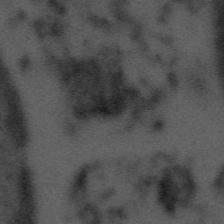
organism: Tuwongella immobilis